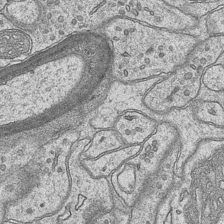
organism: Mouse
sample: CA1 Hippocampus